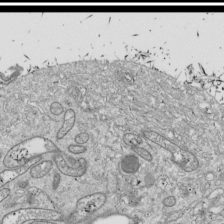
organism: Drosophila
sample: Cell division; meiosis; drosophila spermatocytes